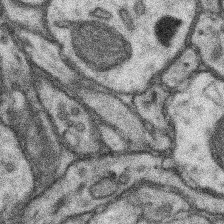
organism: Mouse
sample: Somatosensory cortex neuropil